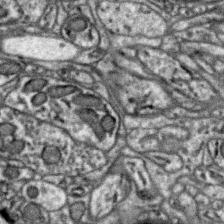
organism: Zebra finch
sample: Brain